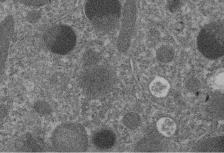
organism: C. elegans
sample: C. elegans embryo early stage